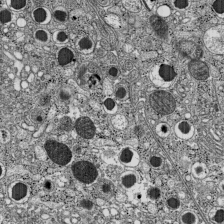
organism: C57BL Mouse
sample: Pancreatic islet